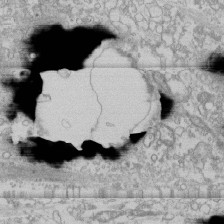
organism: Human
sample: CRL-1474